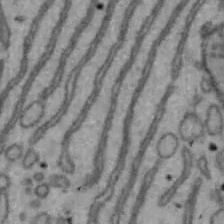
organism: Mouse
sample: Liver